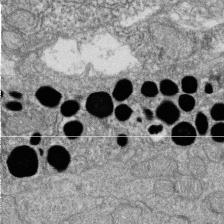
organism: Zebrafish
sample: Cilia; retinal pigment epithelium